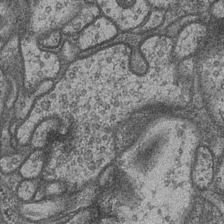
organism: Drosophila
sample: Optic medulla